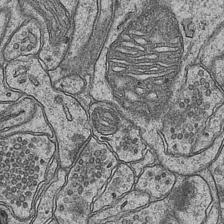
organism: Mouse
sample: CA1 Hippocampus